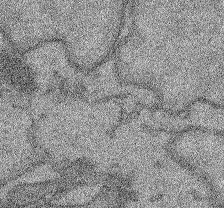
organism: Human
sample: HeLa cells